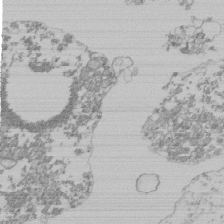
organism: Mouse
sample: Activated Pmel transgenic CD8+ T Cells